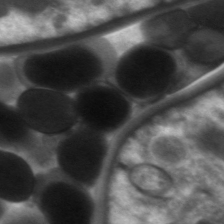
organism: C. elegans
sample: Pharynx